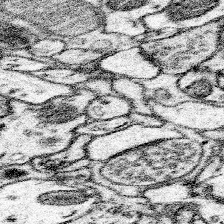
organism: Mouse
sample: Somatosensory cortex neuropil